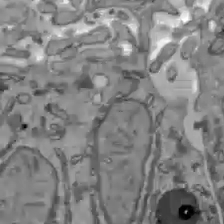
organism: C57BL Mouse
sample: Liver